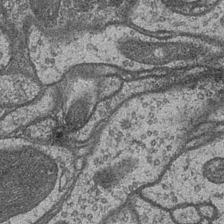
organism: Drosophila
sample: Optic medulla